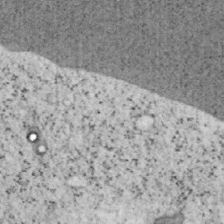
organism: Mouse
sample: OT-I killer T cells with ID8 ovarian cancer cells